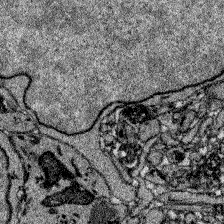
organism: Zebrafish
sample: Larval olfactory bulb